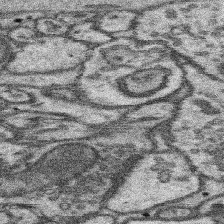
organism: Mouse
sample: Somatosensory cortex neuropil